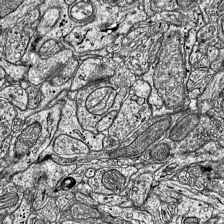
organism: Mouse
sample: Visual Cortex